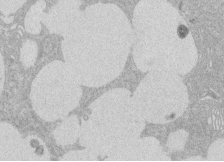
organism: Rat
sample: Salivary granule